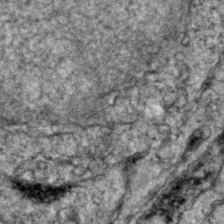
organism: Zebrafish